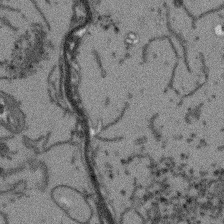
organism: Arabidopsis thaliana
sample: Root tip